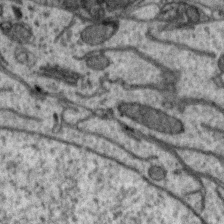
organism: Zebra finch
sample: Brain